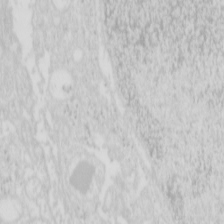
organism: Mouse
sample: Pancreas